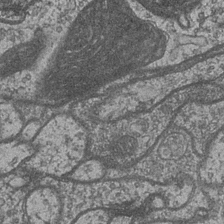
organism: Drosophila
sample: Optic medulla